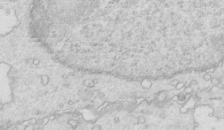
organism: Mouse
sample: Multiciliated cells